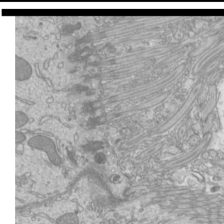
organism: Mouse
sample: Cilia; mouse epididymis